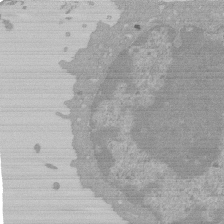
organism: Mouse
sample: Activated Pmel transgenic CD8+ T Cells